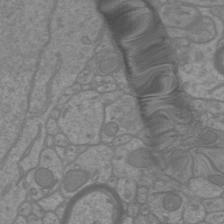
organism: Mouse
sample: Cortical neurons